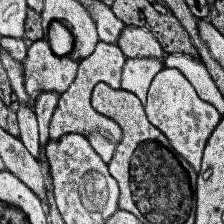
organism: Human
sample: Temporal Lobe